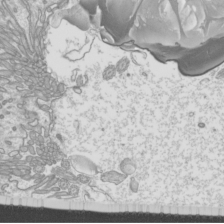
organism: Mouse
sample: Cilia; mouse epididymis